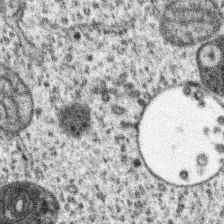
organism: Human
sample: HeLa cells